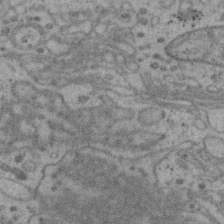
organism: Human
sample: HeLa cells